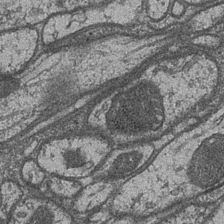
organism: Drosophila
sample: Optic medulla